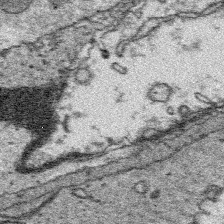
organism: Platynereis dumerilii